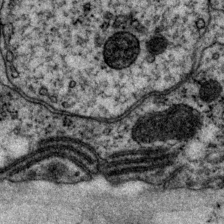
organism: P. pacificus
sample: Pharynx